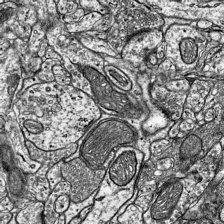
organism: Mouse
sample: Visual Cortex